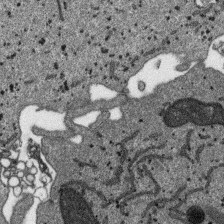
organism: Human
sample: Lung epithelial cells infected with SARS-CoV-2